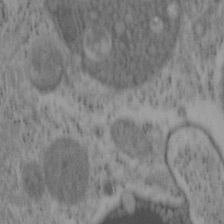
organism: Mouse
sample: OT-I killer T cells with ID8 ovarian cancer cells